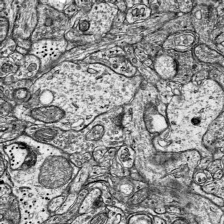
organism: Mouse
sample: Visual Cortex